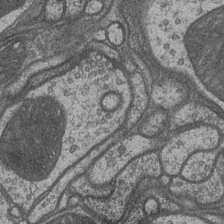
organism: Drosophila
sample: Optic medulla